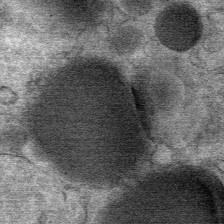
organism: Mouse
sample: Mouse Salivary gland